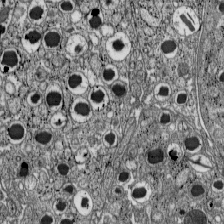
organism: C57BL Mouse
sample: Pancreatic islet